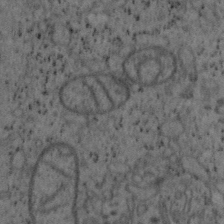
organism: Human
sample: HeLa cells